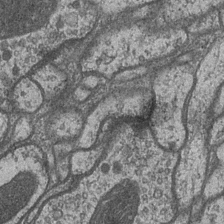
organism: Drosophila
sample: Optic medulla